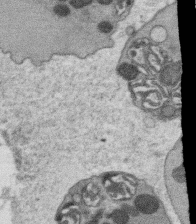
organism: C. elegans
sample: C. elegans oocyte; sperm cells